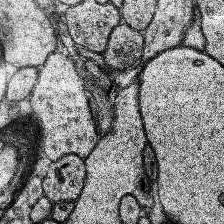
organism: Human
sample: Temporal Lobe